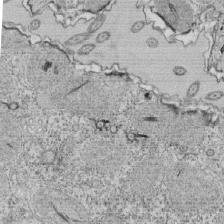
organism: Tetrahymena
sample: Cilia in tetrahymena